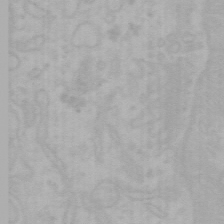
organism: Mouse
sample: Choroid plexus